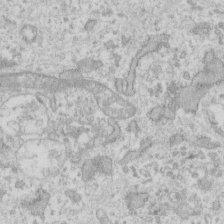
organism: Human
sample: Fibroblast cells